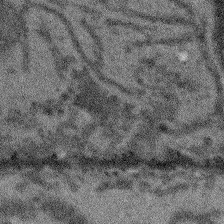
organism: Arabidopsis thaliana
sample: Root tip